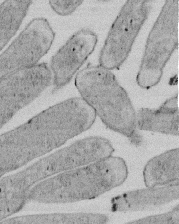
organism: E. coli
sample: Bacterial nucleoid